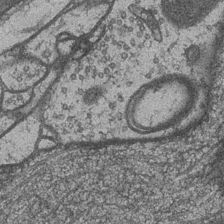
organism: Drosophila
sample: Optic medulla